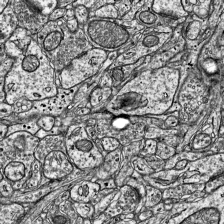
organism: Mouse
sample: Visual Cortex